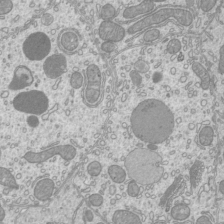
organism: Mouse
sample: Cilia; mouse epididymis